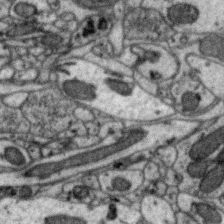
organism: Zebra finch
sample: Brain